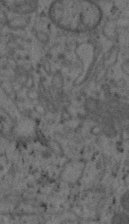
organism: Human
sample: HeLa cells